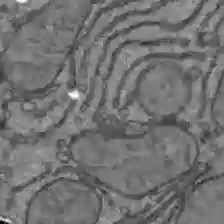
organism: C57BL Mouse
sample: Liver